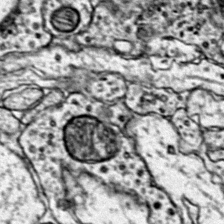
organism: Mouse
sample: Primary visual cortex